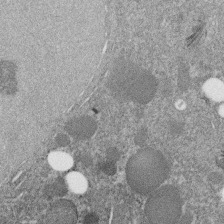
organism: C. elegans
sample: C. elegans embryo early stage